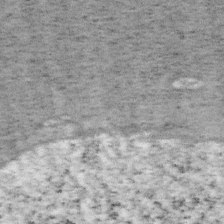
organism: Mouse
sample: OT-I killer T cells with ID8 ovarian cancer cells